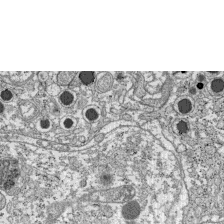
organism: C57BL Mouse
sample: Pancreatic islet